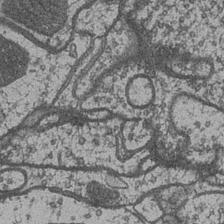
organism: Drosophila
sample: Optic medulla